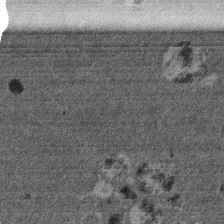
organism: Mouse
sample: Dividing mouse embryo 1 cell stage